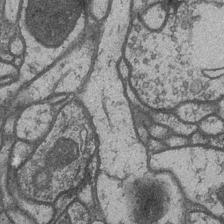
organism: Drosophila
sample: Optic medulla